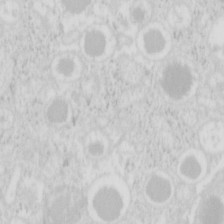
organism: Mouse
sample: Pancreas